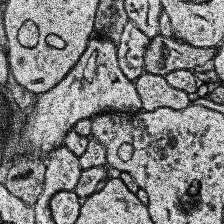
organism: Human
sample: Temporal Lobe